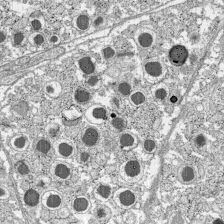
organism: C57BL Mouse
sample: Pancreatic islet